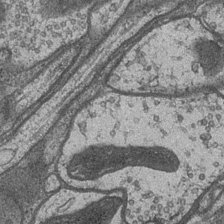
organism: Drosophila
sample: Optic medulla